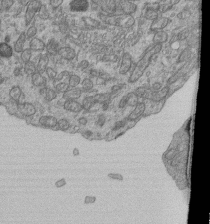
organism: Human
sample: Retinal organoid Rod and Cone cells